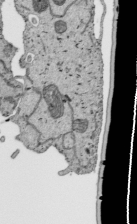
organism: Human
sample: Mitochondria in HCT116 cells